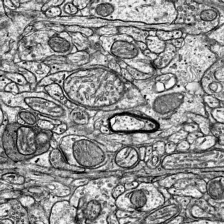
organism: Mouse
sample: Visual Cortex